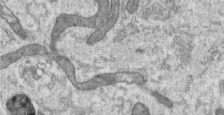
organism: Human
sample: Centriole in RPE cells